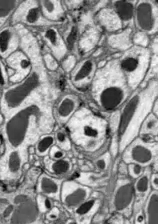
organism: Drosophila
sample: Optic lobe